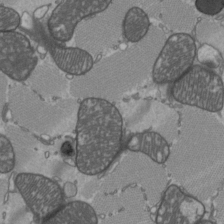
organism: C57BL Mouse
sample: Heart